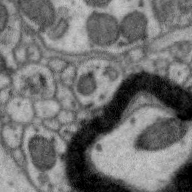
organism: Zebra finch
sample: Brain